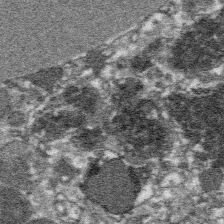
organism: Platynereis dumerilii